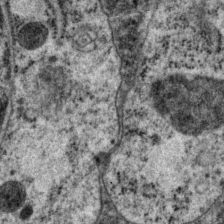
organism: P. pacificus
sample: Pharynx